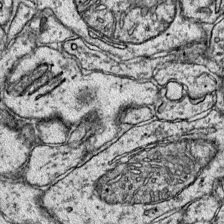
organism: Mouse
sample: Primary visual cortex